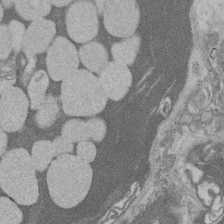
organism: Rat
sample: Salivary granule